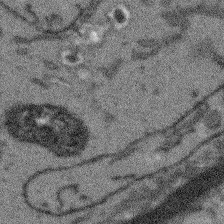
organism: Arabidopsis thaliana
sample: Root tip